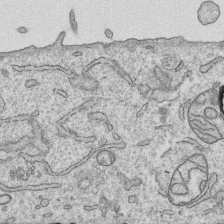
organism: Human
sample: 1205lu cells